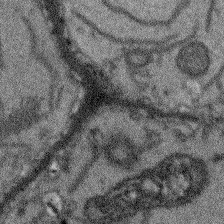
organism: Arabidopsis thaliana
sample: Root tip